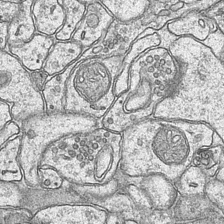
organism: Mouse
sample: CA1 Hippocampus